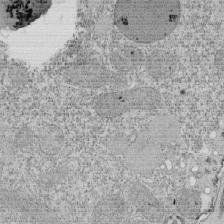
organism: Tetrahymena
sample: Cilia in tetrahymena